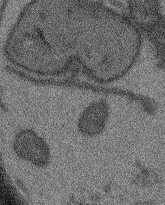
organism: Arabidopsis thaliana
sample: Root tip